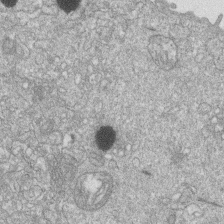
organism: Human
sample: HeLa cell HIV synapse